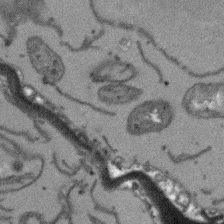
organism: Arabidopsis thaliana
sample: Root tip